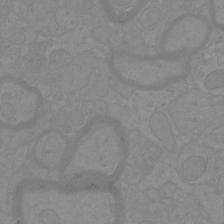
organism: Mouse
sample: Cortical neurons